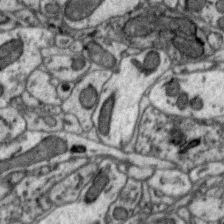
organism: Zebra finch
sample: Brain